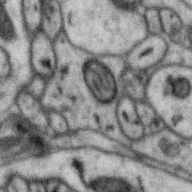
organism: Zebra finch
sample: Brain